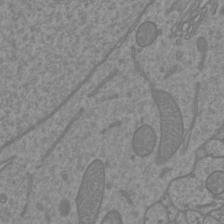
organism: Mouse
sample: Cortical neurons